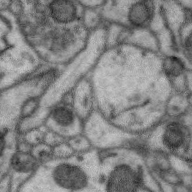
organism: Zebra finch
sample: Brain